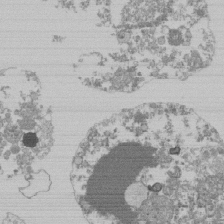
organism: Mouse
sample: Activated Pmel transgenic CD8+ T Cells